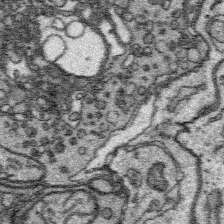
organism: Platynereis dumerilii